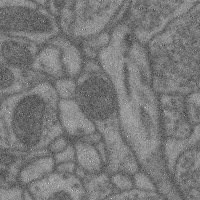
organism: Mouse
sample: Cerebral cortex